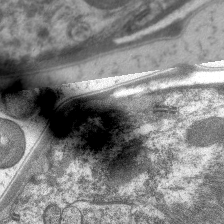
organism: C. elegans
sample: Pharynx